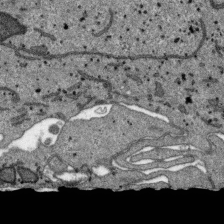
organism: Human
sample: Lung epithelial cells, uninfected (mock) control